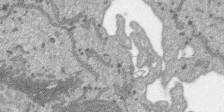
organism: Human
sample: Lung epithelial cells infected with SARS-CoV-2